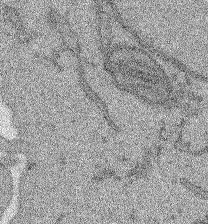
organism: Human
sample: HeLa cells